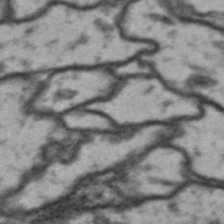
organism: Drosophila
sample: Brain